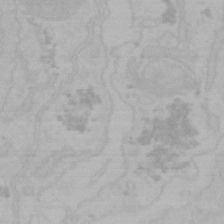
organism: Mouse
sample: Choroid plexus